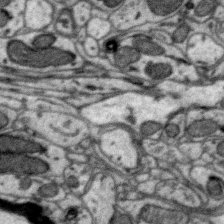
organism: Zebra finch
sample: Brain